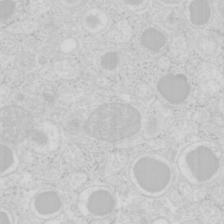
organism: Mouse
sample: Pancreas